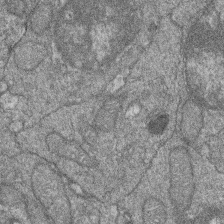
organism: Zebrafish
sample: Cilia; retinal pigment epithelium